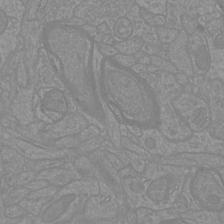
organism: Mouse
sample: Cortical neurons